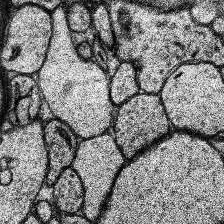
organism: Human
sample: Temporal Lobe